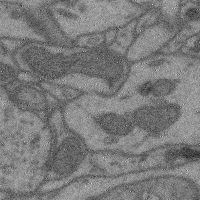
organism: Mouse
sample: Cerebral cortex